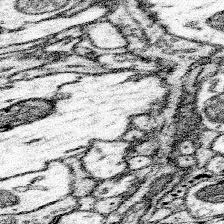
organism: Mouse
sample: Somatosensory cortex neuropil